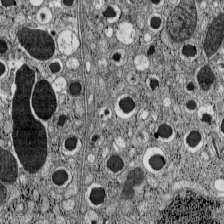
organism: C57BL Mouse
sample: Pancreatic islet